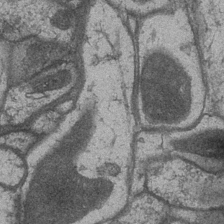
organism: Drosophila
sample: Optic medulla